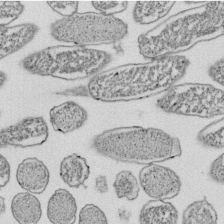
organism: E. coli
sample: Bacterial nucleoid